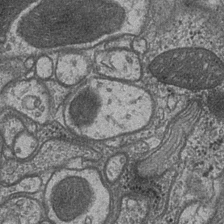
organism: Drosophila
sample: Optic medulla